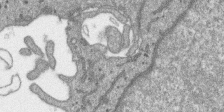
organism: Human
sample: Lung epithelial cells infected with SARS-CoV-2